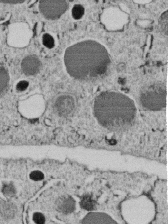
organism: C. elegans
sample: C. elegans embryo early stage